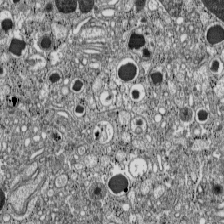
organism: C57BL Mouse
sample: Pancreatic islet